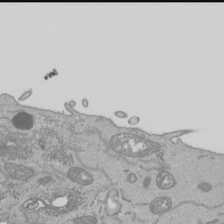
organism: Human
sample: Mitochondria in HCT116 cells